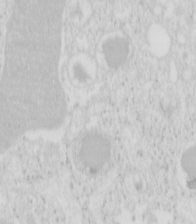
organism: Mouse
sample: Pancreas